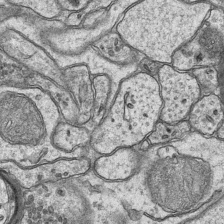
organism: Mouse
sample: CA1 Hippocampus